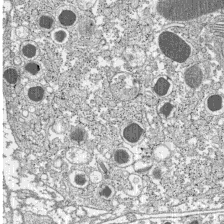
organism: C57BL Mouse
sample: Pancreatic islet